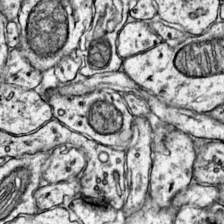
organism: Mouse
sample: Primary visual cortex